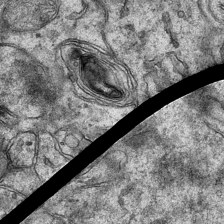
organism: Mouse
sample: CA1 Hippocampus